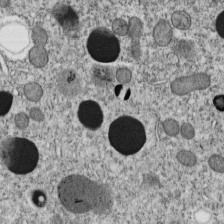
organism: C. elegans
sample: C. elegans embryo early stage